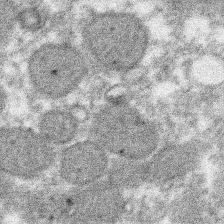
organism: Xenopus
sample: Cilia; centrioles in frog embryo cells